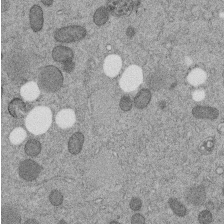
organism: C. elegans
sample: C. elegans embryo early stage